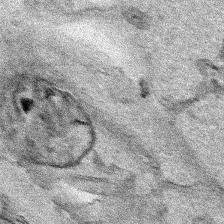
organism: Human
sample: Mitochondria in HCT116 cells